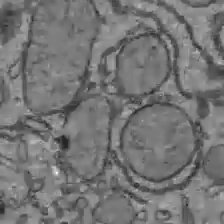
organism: C57BL Mouse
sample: Liver